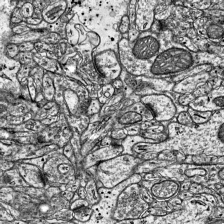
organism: Mouse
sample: Visual Cortex